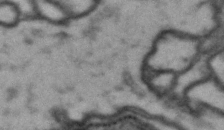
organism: Drosophila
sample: Brain